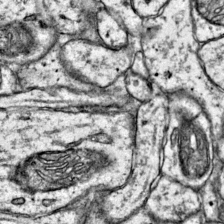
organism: Mouse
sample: Primary visual cortex